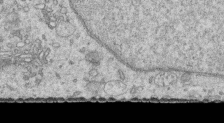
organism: Human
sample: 1205lu cells